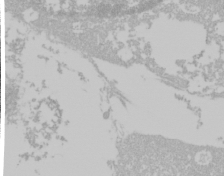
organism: Mouse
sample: Cancer cell death in ED-1 cells